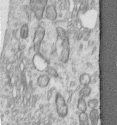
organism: Human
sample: Centriole in RPE cells